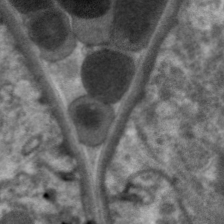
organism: C. elegans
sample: Pharynx